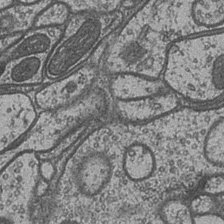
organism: Drosophila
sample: Optic medulla